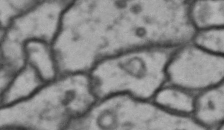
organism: Drosophila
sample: Brain